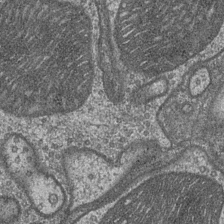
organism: Drosophila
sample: Optic medulla